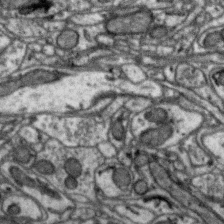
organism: Zebra finch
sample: Brain